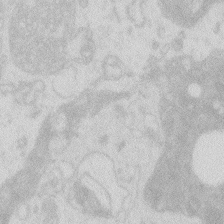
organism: Zebrafish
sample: Macrophage